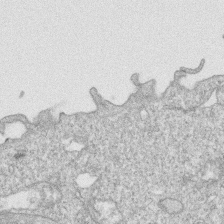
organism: Human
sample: HeLa cell HIV synapse